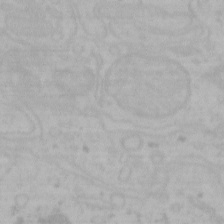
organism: Mouse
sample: Choroid plexus